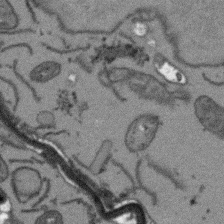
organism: Arabidopsis thaliana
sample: Root tip